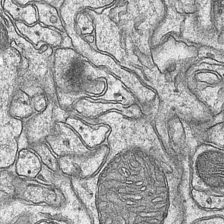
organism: Mouse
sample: CA1 Hippocampus